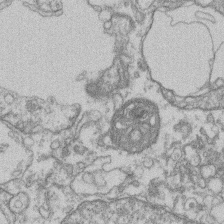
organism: Mouse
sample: T cell stromal cell synapse